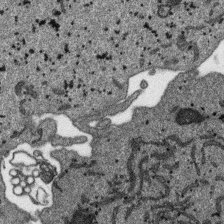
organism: Human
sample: Lung epithelial cells infected with SARS-CoV-2